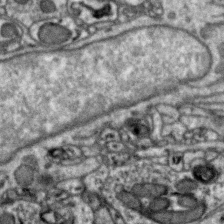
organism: Zebra finch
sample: Brain